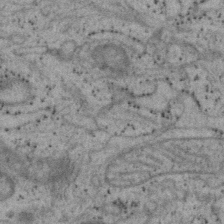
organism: Human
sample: HeLa cells